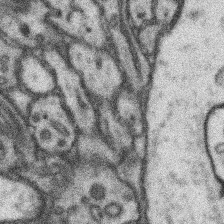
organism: Mouse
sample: Somatosensory cortex neuropil